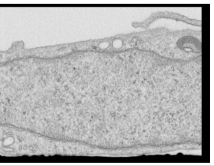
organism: Human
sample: Centriole in RPE cells